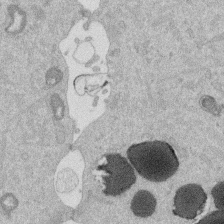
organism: Mouse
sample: Dividing mouse embryo 1 cell stage